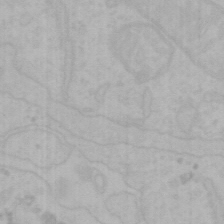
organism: Mouse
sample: Choroid plexus